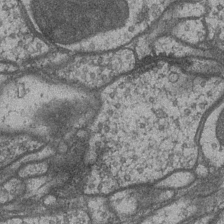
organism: Drosophila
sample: Optic medulla